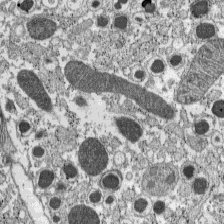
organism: C57BL Mouse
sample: Pancreatic islet